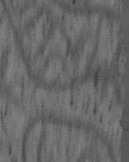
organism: Human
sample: HeLa cells